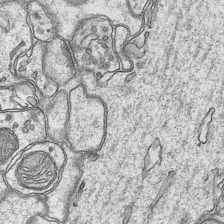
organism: Mouse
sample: CA1 Hippocampus